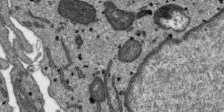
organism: Human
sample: Lung epithelial cells, uninfected (mock) control